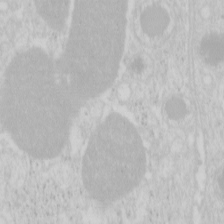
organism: Mouse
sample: Pancreas